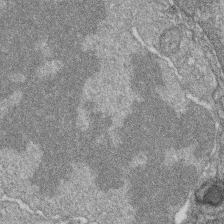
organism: Zebrafish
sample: Cilia; retinal pigment epithelium